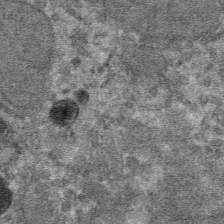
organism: Mouse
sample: Mouse hepatocytes